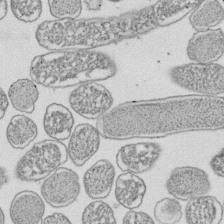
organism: E. coli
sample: Bacterial nucleoid